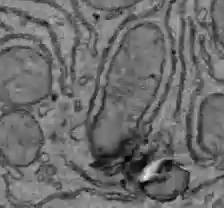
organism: C57BL Mouse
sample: Liver